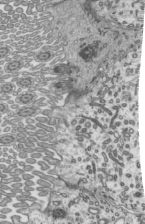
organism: Mouse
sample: Mouse epididymis efferent ductule cilia